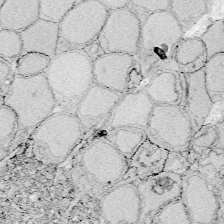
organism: Zebrafish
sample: Whole-Brain